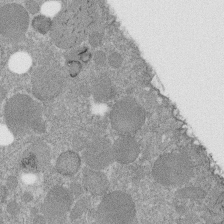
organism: C. elegans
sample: C. elegans embryo early stage